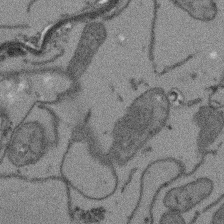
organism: Arabidopsis thaliana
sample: Root tip